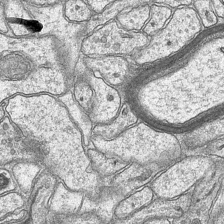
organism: Mouse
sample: CA1 Hippocampus